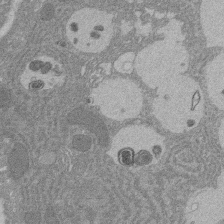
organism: Rat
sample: Salivary granule